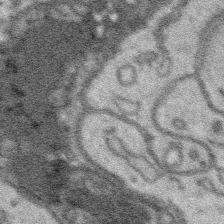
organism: Platynereis dumerilii